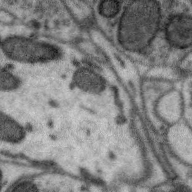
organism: Zebra finch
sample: Brain